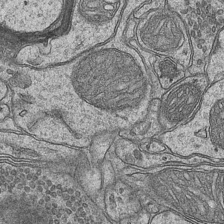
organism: Mouse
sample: CA1 Hippocampus